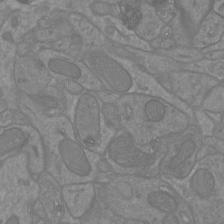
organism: Mouse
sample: Cortical neurons